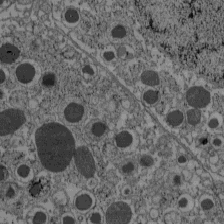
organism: C57BL Mouse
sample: Pancreatic islet